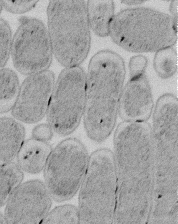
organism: E. coli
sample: Bacterial nucleoid